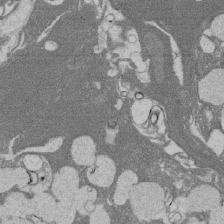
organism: Rat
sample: Salivary granule